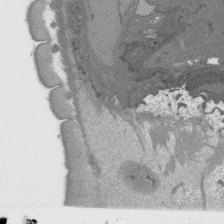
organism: C. elegans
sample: AFD neurons C. elegans